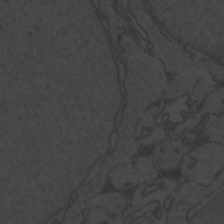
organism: Zebrafish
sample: Macrophage infected with Toxoplasma gondii